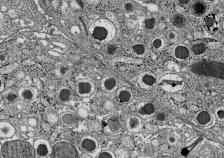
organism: C57BL Mouse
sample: Pancreatic islet